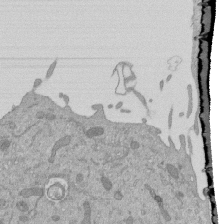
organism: Mouse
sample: ED-1 cell nuclei; centrioles